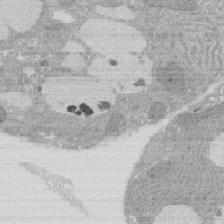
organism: Rat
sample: Salivary granule